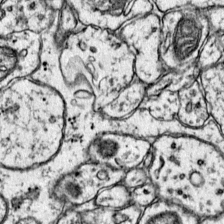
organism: Mouse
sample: Primary visual cortex